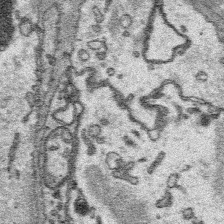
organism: Platynereis dumerilii